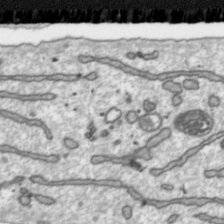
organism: Toxoplasma gondii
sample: Parasites in a vacuole inside a host cell